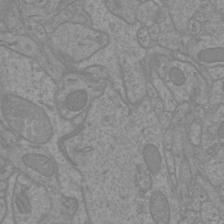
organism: Mouse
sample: Cortical neurons